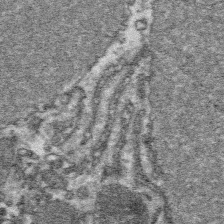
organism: Platynereis dumerilii